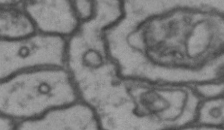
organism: Drosophila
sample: Brain